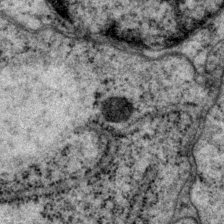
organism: P. pacificus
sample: Pharynx